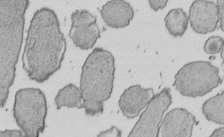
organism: E. coli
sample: Bacterial nucleoid